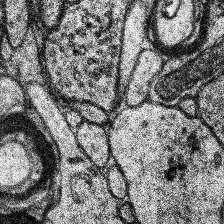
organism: Human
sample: Temporal Lobe